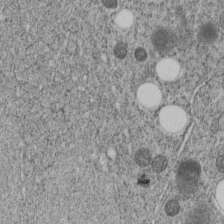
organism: C. elegans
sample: C. elegans embryo early stage